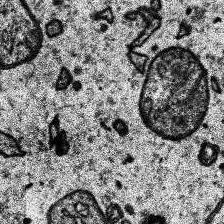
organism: Human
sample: Temporal Lobe